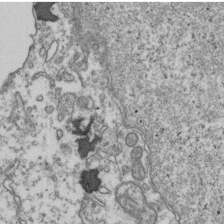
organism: Human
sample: Activated Jurkat CD4+ T cells